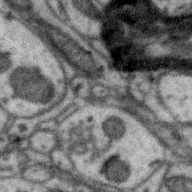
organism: Zebra finch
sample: Brain